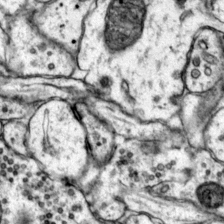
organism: Mouse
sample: Primary visual cortex